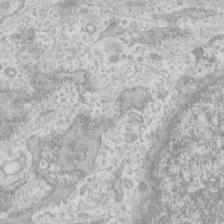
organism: Human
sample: Fibroblast cells